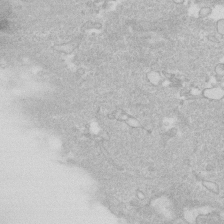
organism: Human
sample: Fibroblast cells